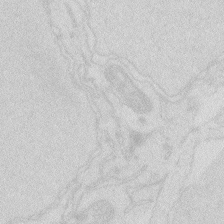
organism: Zebrafish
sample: Macrophage